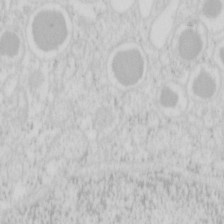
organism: Mouse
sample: Pancreas